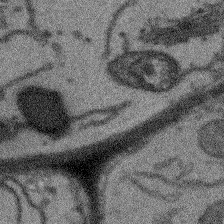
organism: Arabidopsis thaliana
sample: Root tip